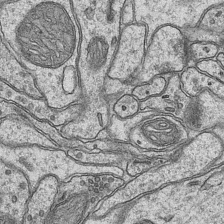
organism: Mouse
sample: CA1 Hippocampus